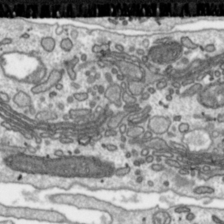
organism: Toxoplasma gondii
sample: Parasites in a vacuole inside a host cell